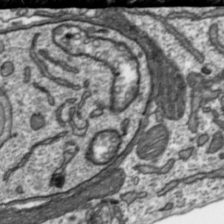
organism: Toxoplasma gondii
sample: Parasites in a vacuole inside a host cell